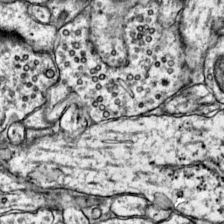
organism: Mouse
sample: Primary visual cortex